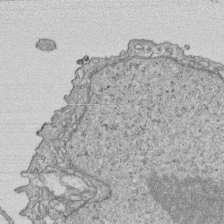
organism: Human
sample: HeLa cell HIV synapse